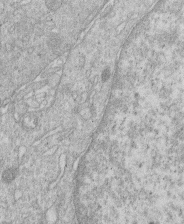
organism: Human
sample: Macrophage cells